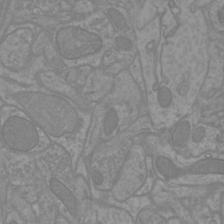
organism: Mouse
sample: Cortical neurons